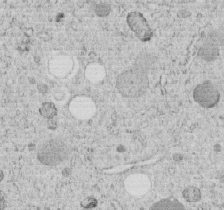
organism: C. elegans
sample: C. elegans embryo early stage